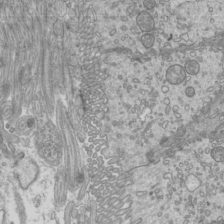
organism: Mouse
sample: Cilia; mouse epididymis